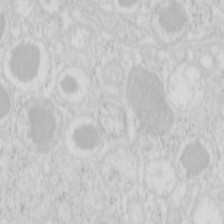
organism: Mouse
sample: Pancreas